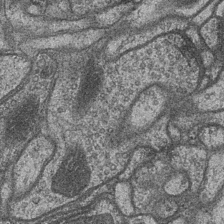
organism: Drosophila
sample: Optic medulla